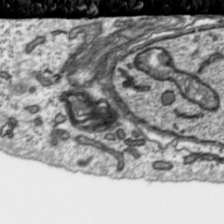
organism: Toxoplasma gondii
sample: Parasites in a vacuole inside a host cell